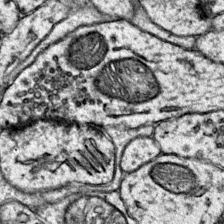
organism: Mouse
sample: Primary visual cortex